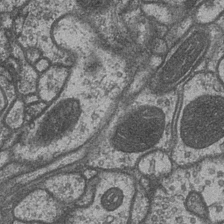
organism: Drosophila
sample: Optic medulla